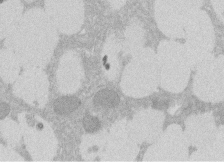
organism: Rat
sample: Salivary granule